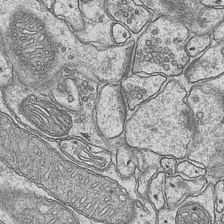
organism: Mouse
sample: CA1 Hippocampus